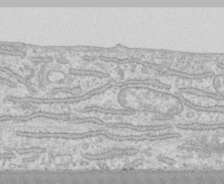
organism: Human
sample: CRL-1474